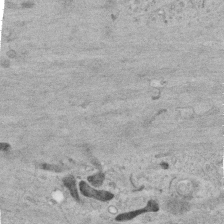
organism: Human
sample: Centriole in RPE cells